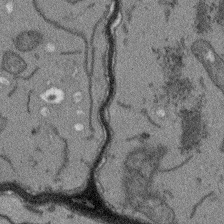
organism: Arabidopsis thaliana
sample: Root tip